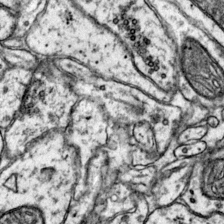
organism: Mouse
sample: Primary visual cortex